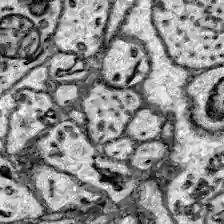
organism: Zebrafish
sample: Brain